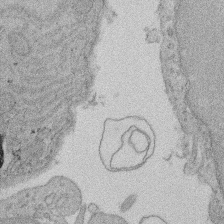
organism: Rat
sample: Salivary granule